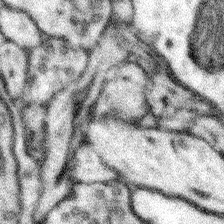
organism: Mouse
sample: Somatosensory cortex neuropil